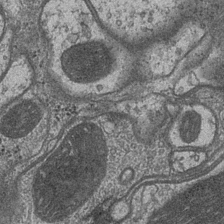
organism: Drosophila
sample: Optic medulla